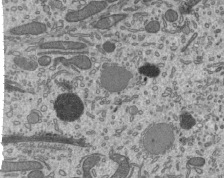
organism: Mouse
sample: Mouse epididymis efferent ductule cilia